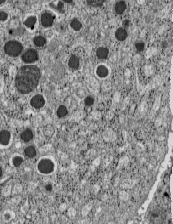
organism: C57BL Mouse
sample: Pancreatic islet